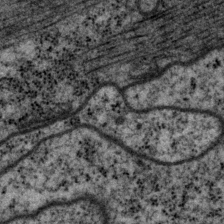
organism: P. pacificus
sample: Pharynx